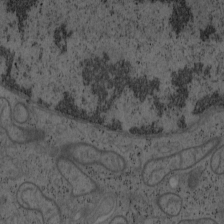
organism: Mouse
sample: OT-I killer T cells with ID8 ovarian cancer cells